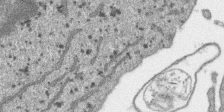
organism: Human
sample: Lung epithelial cells infected with SARS-CoV-2